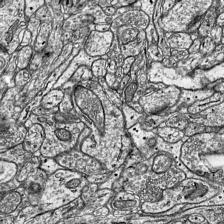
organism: Mouse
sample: Visual Cortex